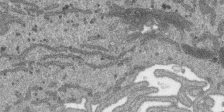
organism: Human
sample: Lung epithelial cells infected with SARS-CoV-2